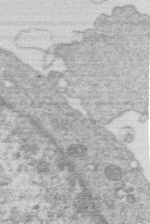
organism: Human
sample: Macrophage cells